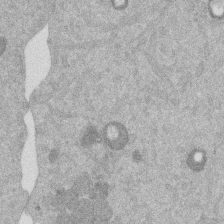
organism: Mouse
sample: Dividing mouse embryo 1 cell stage